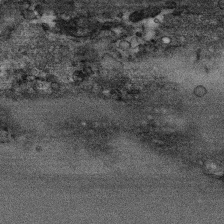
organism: Human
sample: CRL-1474